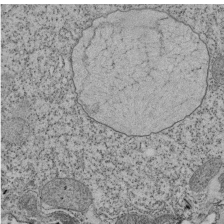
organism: Tetrahymena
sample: Cilia in tetrahymena